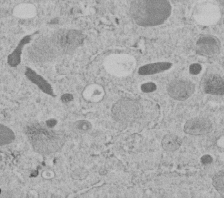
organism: C. elegans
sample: C. elegans embryo early stage